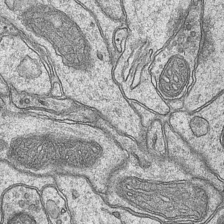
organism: Mouse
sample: CA1 Hippocampus